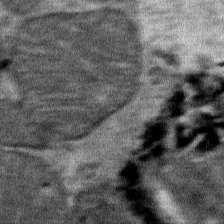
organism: Mouse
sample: Mouse Salivary gland